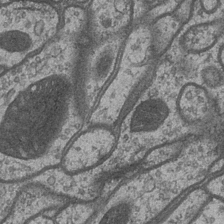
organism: Drosophila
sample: Optic medulla